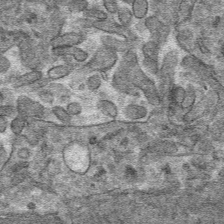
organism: Mouse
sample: Mouse hepatocytes